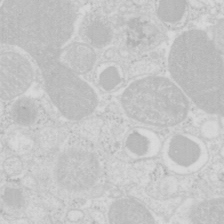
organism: Mouse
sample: Pancreas